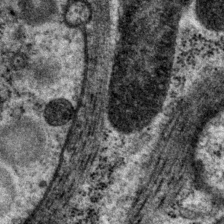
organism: P. pacificus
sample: Pharynx